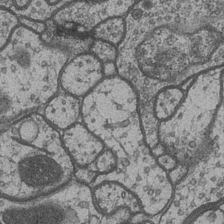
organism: Drosophila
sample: Optic medulla